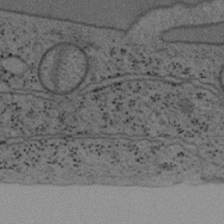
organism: Human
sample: HeLa cells